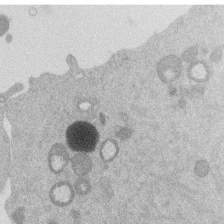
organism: Mouse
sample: Dividing mouse embryo 1 cell stage